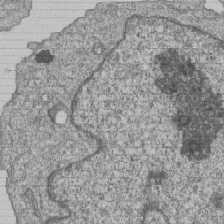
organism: Human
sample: MDA-MB-231 cells